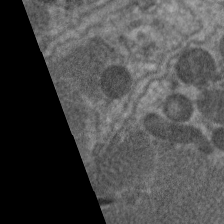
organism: C. elegans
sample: Pharynx